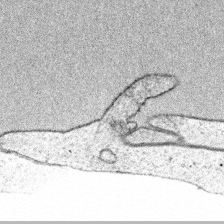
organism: Human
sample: HeLa cells